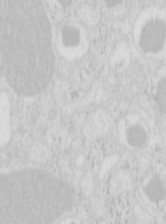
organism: Mouse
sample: Pancreas